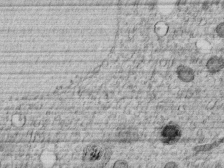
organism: C. elegans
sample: C. elegans embryo early stage